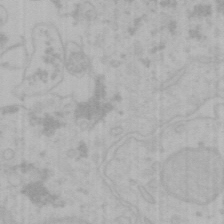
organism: Mouse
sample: Choroid plexus